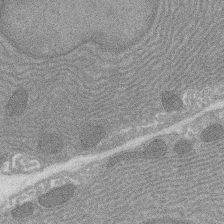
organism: Rat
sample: Salivary granule